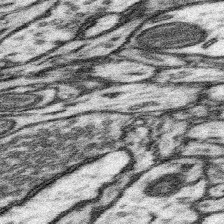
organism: Mouse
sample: Somatosensory cortex neuropil